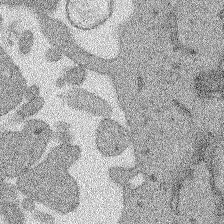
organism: Human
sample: HeLa cells